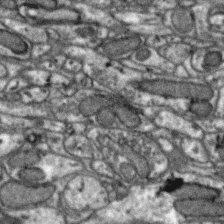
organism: Zebra finch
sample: Brain